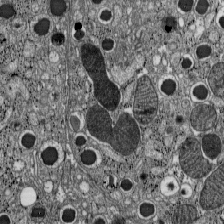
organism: C57BL Mouse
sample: Pancreatic islet